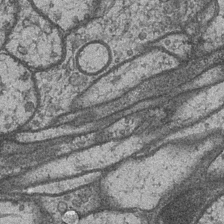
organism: Drosophila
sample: Optic medulla